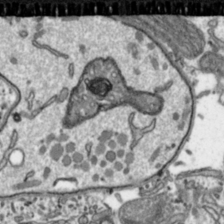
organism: Toxoplasma gondii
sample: Parasites in a vacuole inside a host cell